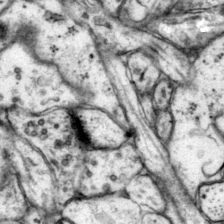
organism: Mouse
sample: Primary visual cortex